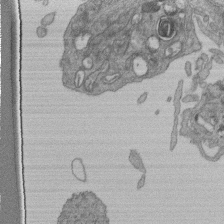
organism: Human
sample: Retinal organoid Rod and Cone cells